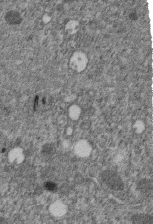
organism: C. elegans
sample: C. elegans embryo early stage